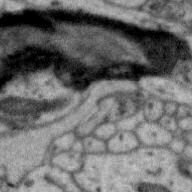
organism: Zebra finch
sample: Brain